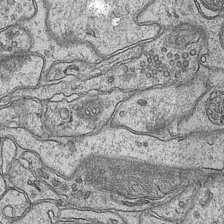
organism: Mouse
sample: CA1 Hippocampus